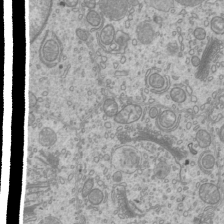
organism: Mouse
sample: Cilia; mouse epididymis